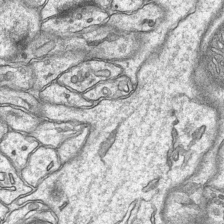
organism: Mouse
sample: CA1 Hippocampus